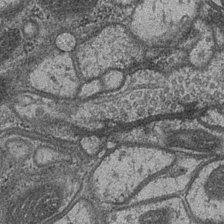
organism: Drosophila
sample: Optic medulla